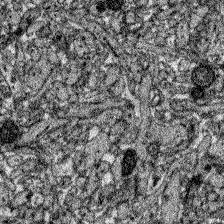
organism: Zebrafish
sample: Larval olfactory bulb